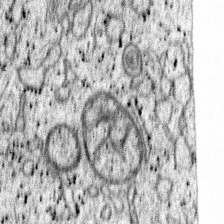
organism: Human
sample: HeLa cells